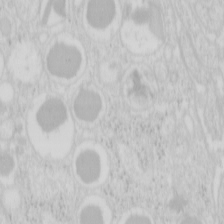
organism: Mouse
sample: Pancreas